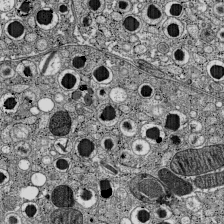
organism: C57BL Mouse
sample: Pancreatic islet